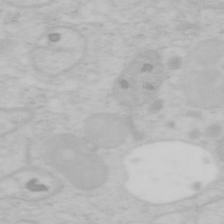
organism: Mouse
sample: OT-I killer T cells with ID8 ovarian cancer cells